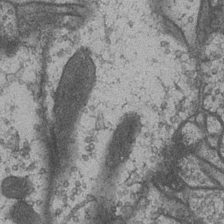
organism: Drosophila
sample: Optic medulla